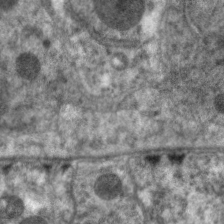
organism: C. elegans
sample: Pharynx